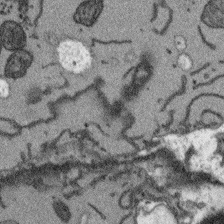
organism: Arabidopsis thaliana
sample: Root tip